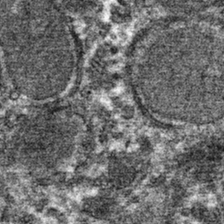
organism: Mouse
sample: Mouse hepatocytes